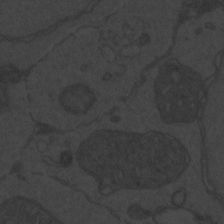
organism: Zebrafish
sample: Macrophage infected with Toxoplasma gondii